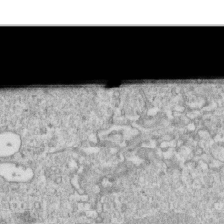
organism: Mouse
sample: Activated OT-1 CD8+ T cells